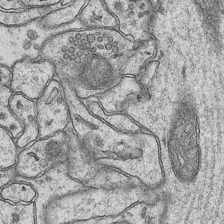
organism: Mouse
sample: CA1 Hippocampus